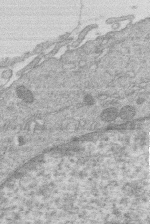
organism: Human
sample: Macrophage cells